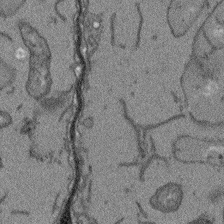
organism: Arabidopsis thaliana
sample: Root tip